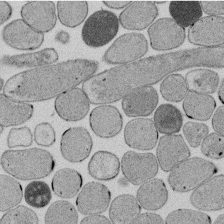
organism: E. coli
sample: Bacterial nucleoid